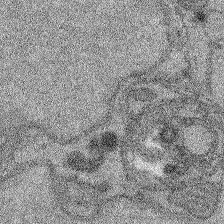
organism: Human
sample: HeLa cells